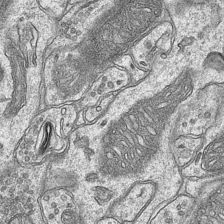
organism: Mouse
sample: CA1 Hippocampus